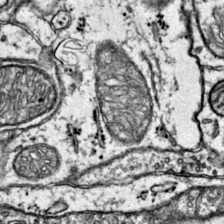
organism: Mouse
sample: Primary visual cortex